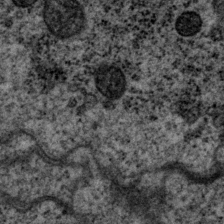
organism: P. pacificus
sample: Pharynx